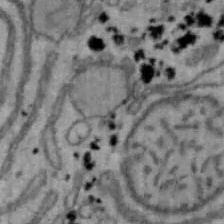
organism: Mouse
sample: Liver